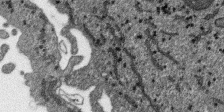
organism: Human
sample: Lung epithelial cells infected with SARS-CoV-2